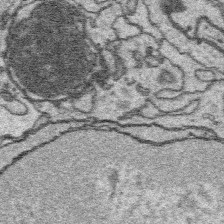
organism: Platynereis dumerilii